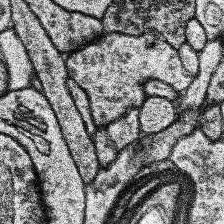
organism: Human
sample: Temporal Lobe